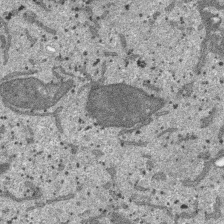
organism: Human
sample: Lung epithelial cells infected with SARS-CoV-2